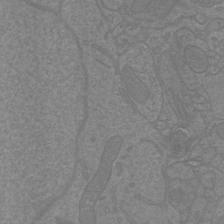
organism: Mouse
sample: Cortical neurons